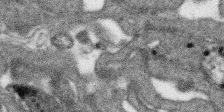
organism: Human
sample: Lung epithelial cells infected with SARS-CoV-2